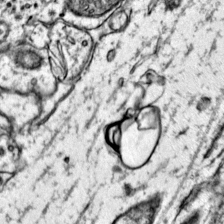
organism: Mouse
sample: Primary visual cortex